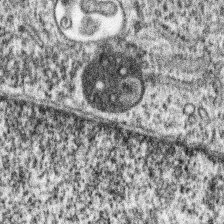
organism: Human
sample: HeLa cells